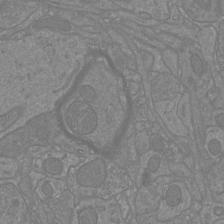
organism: Mouse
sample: Cortical neurons